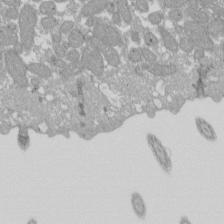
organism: Xenopus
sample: Cilia; centrioles in frog embryo cells